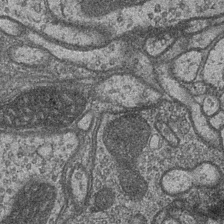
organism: Drosophila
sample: Optic medulla